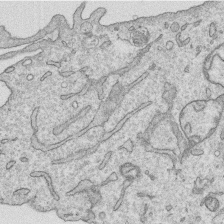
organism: Human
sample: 1205lu cells